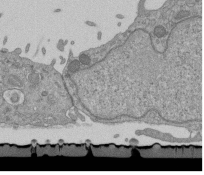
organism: Mouse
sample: ED-1 cell nuclei; centrioles